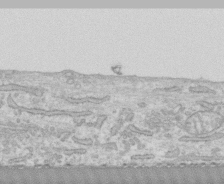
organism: Human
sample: CRL-1474